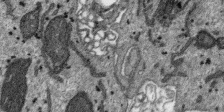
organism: Human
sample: Lung epithelial cells, uninfected (mock) control